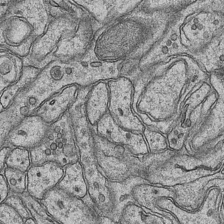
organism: Mouse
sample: CA1 Hippocampus